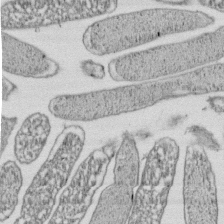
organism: E. coli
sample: Bacterial nucleoid